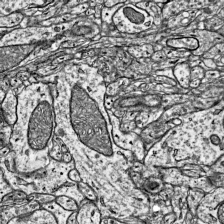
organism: Mouse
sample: Visual Cortex